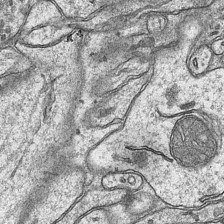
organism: Mouse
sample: CA1 Hippocampus